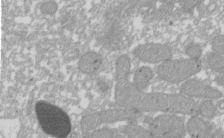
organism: Xenopus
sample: Cilia; centrioles in frog embryo cells